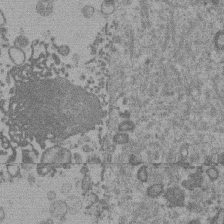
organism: Mouse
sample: Dividing mouse embryo 1 cell stage